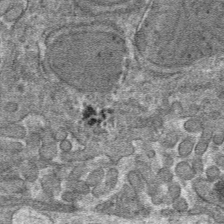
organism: Mouse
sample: Mouse hepatocytes